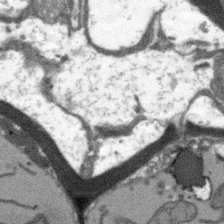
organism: Arabidopsis thaliana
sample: Root tip